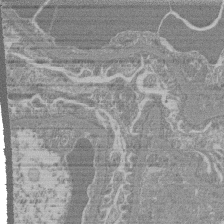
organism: Mouse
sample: Glomerulus